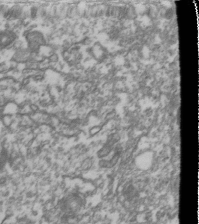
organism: Drosophila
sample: Cell division; meiosis; drosophila spermatocytes